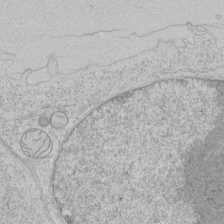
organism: Human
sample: Mitochondria in HCT116 cells